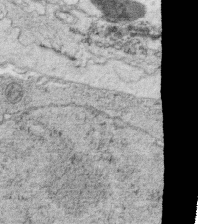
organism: C. elegans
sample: C. elegans oocyte; sperm cells